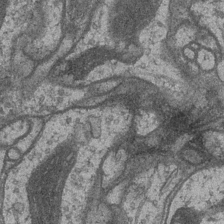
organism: Drosophila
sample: Optic medulla